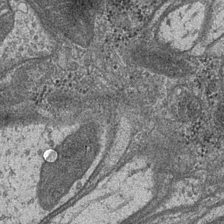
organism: Drosophila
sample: Optic medulla